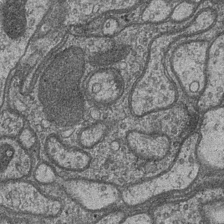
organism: Drosophila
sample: Optic medulla